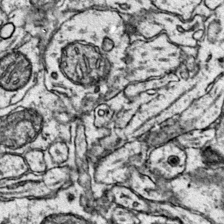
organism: Mouse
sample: Primary visual cortex